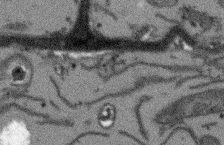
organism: Arabidopsis thaliana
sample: Root tip